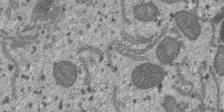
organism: Human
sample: Lung epithelial cells infected with SARS-CoV-2